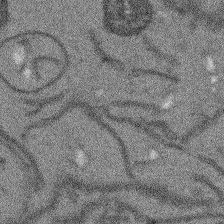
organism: Arabidopsis thaliana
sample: Root tip